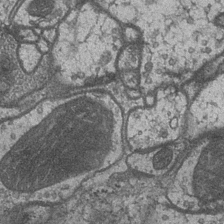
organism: Drosophila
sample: Optic medulla